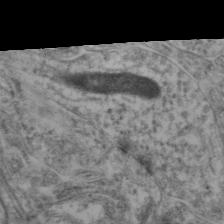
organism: Mouse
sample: Neocortex